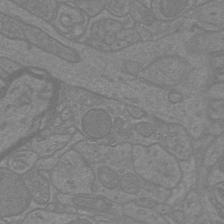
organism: Mouse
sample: Cortical neurons